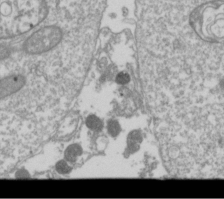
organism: Drosophila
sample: Cell division; meiosis; drosophila spermatocytes